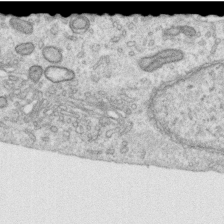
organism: Human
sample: Centriole in RPE cells